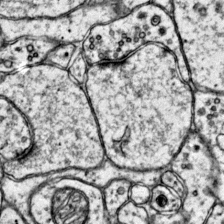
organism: Mouse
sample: Primary visual cortex